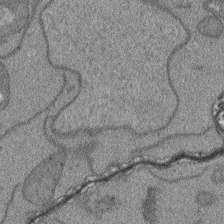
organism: Arabidopsis thaliana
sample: Root tip